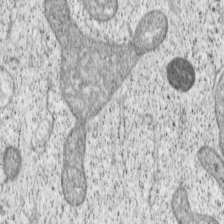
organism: African green monkey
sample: COS-7 cells